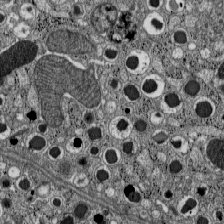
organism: C57BL Mouse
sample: Pancreatic islet